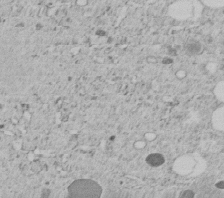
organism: C. elegans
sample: C. elegans embryo early stage